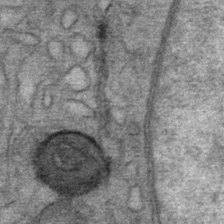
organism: Mouse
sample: Mouse Salivary gland